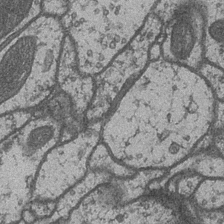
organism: Drosophila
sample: Optic medulla